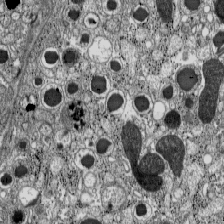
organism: C57BL Mouse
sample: Pancreatic islet